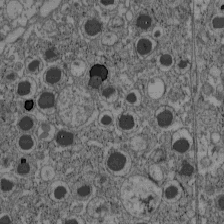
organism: C57BL Mouse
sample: Pancreatic islet